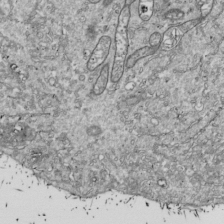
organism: Drosophila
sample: Cell division; meiosis; drosophila spermatocytes